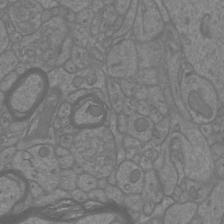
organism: Mouse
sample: Cortical neurons